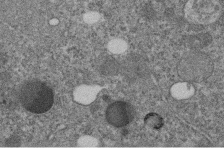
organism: C. elegans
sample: C. elegans embryo early stage